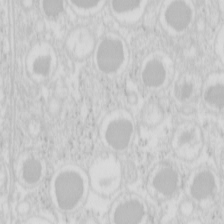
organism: Mouse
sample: Pancreas